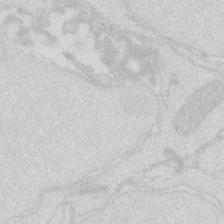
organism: Zebrafish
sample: Macrophage